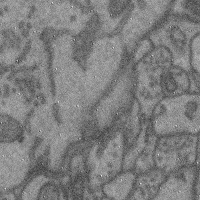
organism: Mouse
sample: Cerebral cortex